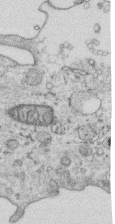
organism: Human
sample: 1205lu cells